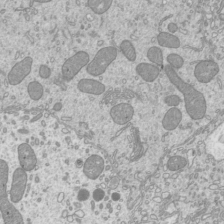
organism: Mouse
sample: Cilia; mouse epididymis